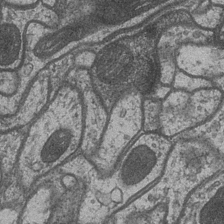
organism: Drosophila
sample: Optic medulla